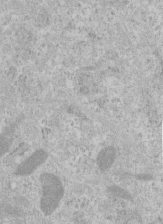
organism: Human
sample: Centriole in RPE cells